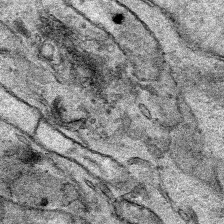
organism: Human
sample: Mitochondria in HCT116 cells